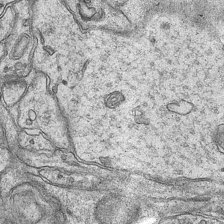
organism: Mouse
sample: CA1 Hippocampus